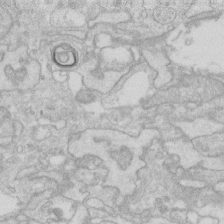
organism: Human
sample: Fibroblast cells